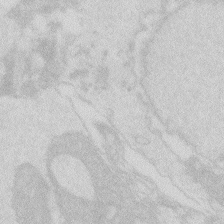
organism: Zebrafish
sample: Macrophage